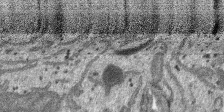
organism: Human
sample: Lung epithelial cells infected with SARS-CoV-2